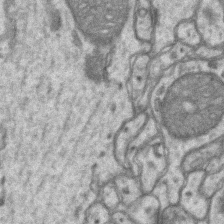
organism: Mouse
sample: CA1 Hippocampus